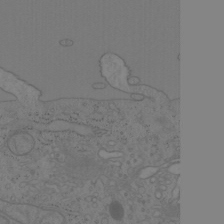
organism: Human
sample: HeLa cells